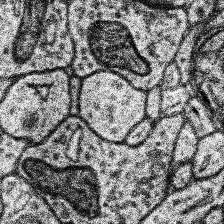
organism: Human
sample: Temporal Lobe